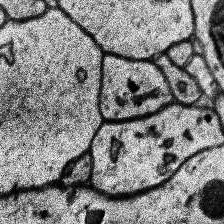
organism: Human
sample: Temporal Lobe